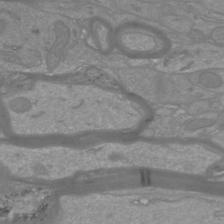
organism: Mouse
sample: Cortical neurons